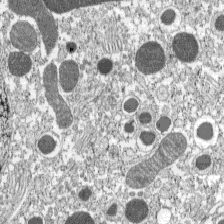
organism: C57BL Mouse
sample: Pancreatic islet